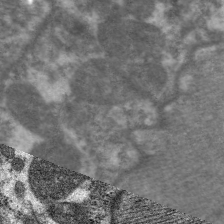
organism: C. elegans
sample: Pharynx